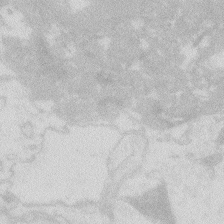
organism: Zebrafish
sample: Macrophage